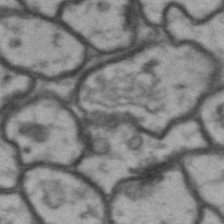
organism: Drosophila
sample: Brain